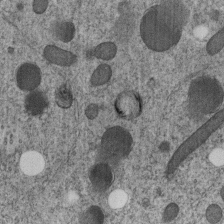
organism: C. elegans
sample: C. elegans embryo early stage